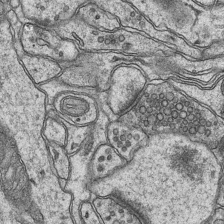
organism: Mouse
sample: CA1 Hippocampus